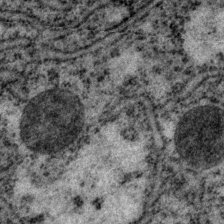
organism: P. pacificus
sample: Pharynx